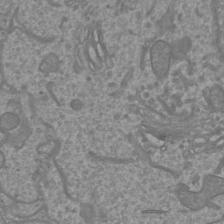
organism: Mouse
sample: Cortical neurons